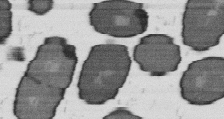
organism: B. subtilis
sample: Bacterial spore